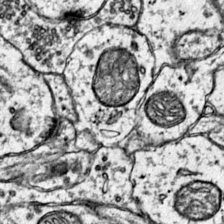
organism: Mouse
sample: Primary visual cortex